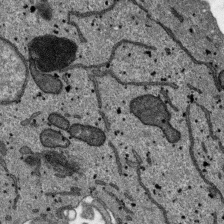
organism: Human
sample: Lung epithelial cells, uninfected (mock) control